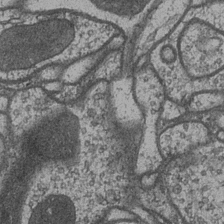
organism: Drosophila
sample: Optic medulla